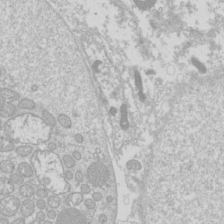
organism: Drosophila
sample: Cell division; meiosis; drosophila spermatocytes